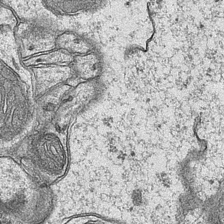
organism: Mouse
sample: CA1 Hippocampus